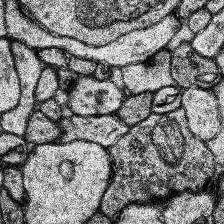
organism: Human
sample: Temporal Lobe